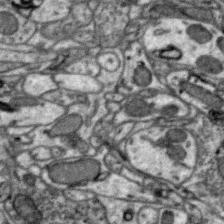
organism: Zebra finch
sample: Brain